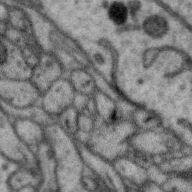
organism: Zebra finch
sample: Brain